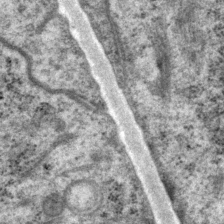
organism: P. pacificus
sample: Pharynx